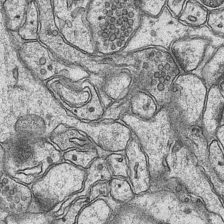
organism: Mouse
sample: CA1 Hippocampus